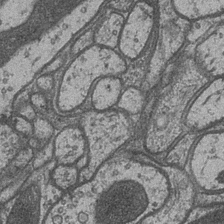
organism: Drosophila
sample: Optic medulla